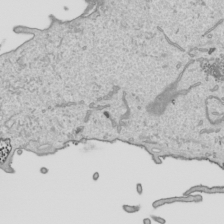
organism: Human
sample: Mitochondria in HCT116 cells